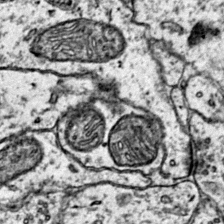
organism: Mouse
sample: Primary visual cortex